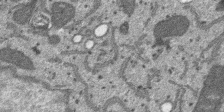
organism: Human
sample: Lung epithelial cells infected with SARS-CoV-2